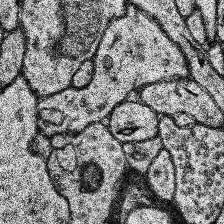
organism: Human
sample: Temporal Lobe